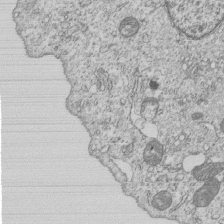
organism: Human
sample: MDA-MB-231 cells